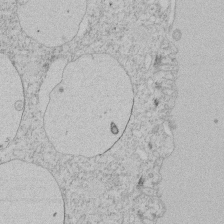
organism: Tetrahymena